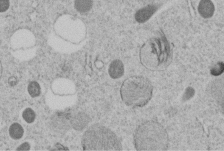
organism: C. elegans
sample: C. elegans embryo early stage